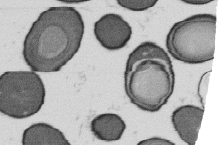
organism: B. subtilis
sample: Bacterial spore